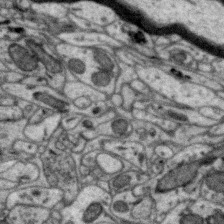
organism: Zebra finch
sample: Brain